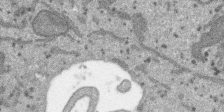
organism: Human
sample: Lung epithelial cells infected with SARS-CoV-2